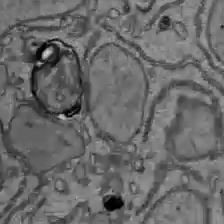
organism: C57BL Mouse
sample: Liver